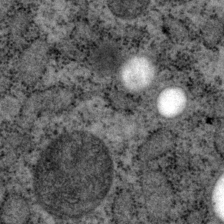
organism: P. pacificus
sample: Pharynx